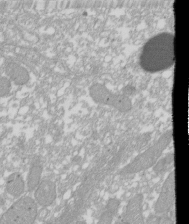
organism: Xenopus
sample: Cilia; centrioles in frog embryo cells